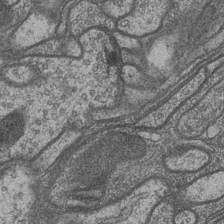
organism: Drosophila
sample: Optic medulla